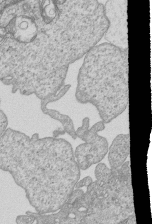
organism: Human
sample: MDA-MB-231 cells